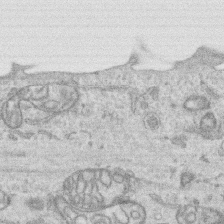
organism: Human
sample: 1205lu cells